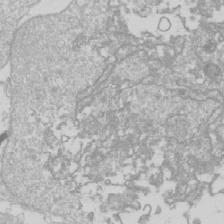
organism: Drosophila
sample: Cell division; meiosis; drosophila spermatocytes